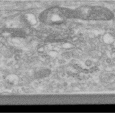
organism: Human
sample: Centriole in RPE cells